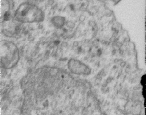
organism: Human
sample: Centriole in RPE cells